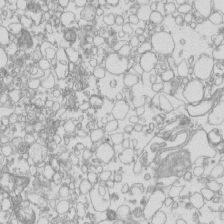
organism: Mouse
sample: Macrophages